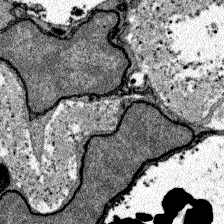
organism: Zebrafish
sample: Larval olfactory bulb